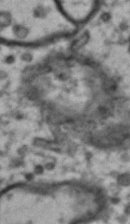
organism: Drosophila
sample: Brain